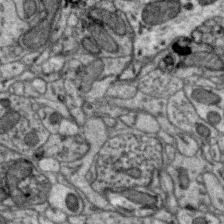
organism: Zebra finch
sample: Brain